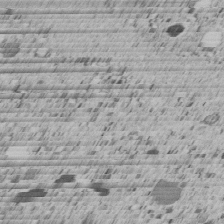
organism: C. elegans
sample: C. elegans embryo early stage